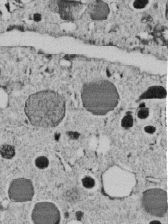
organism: C. elegans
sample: C. elegans embryo early stage